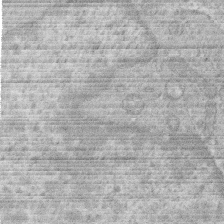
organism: Human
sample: Macrophage cells